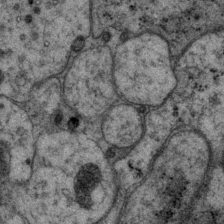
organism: P. pacificus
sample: Pharynx